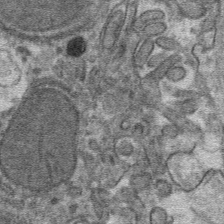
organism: Mouse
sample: Mouse hepatocytes